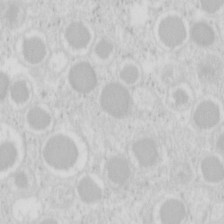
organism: Mouse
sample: Pancreas